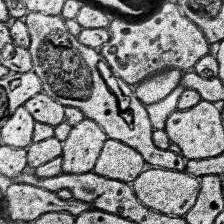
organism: Human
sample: Temporal Lobe